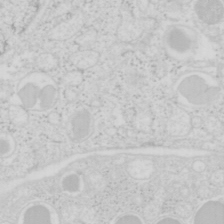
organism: Mouse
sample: Pancreas